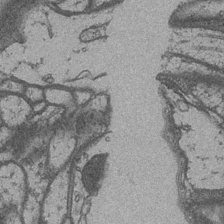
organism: Drosophila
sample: Optic medulla